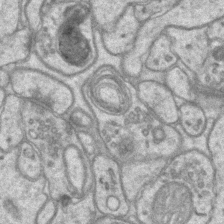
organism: Mouse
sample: CA1 Hippocampus